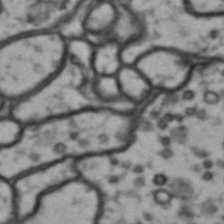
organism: Drosophila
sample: Brain